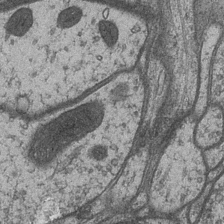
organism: Drosophila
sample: Optic medulla